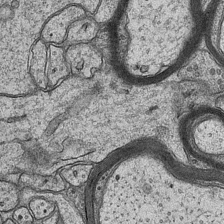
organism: Mouse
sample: CA1 Hippocampus